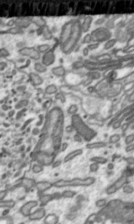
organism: Toxoplasma gondii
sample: Parasites in a vacuole inside a host cell